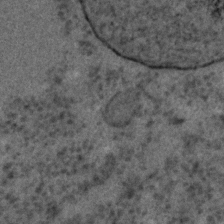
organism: C. elegans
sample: C. elegans embryo